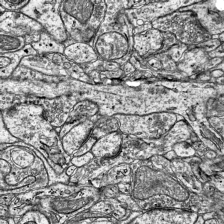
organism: Mouse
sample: Visual Cortex